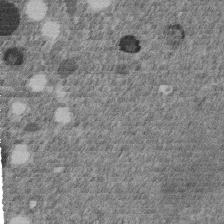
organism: C. elegans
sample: C. elegans embryo early stage